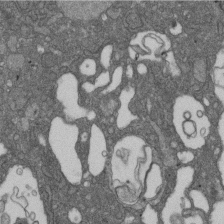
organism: Drosophila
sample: Nephrocyte